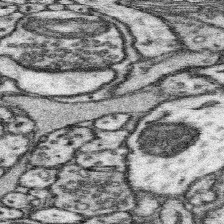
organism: Mouse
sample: Somatosensory cortex neuropil